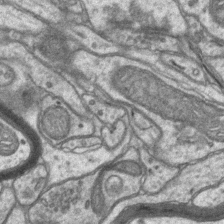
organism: Mouse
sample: CA1 Hippocampus